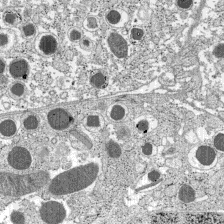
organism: C57BL Mouse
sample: Pancreatic islet